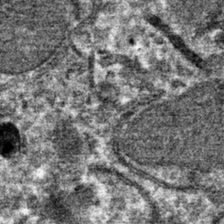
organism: Mouse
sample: Mouse hepatocytes